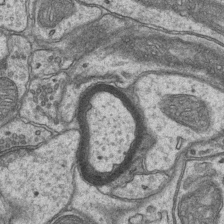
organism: Mouse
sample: CA1 Hippocampus